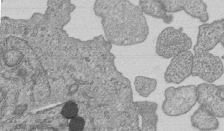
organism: Human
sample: MDA-MB-231 cells